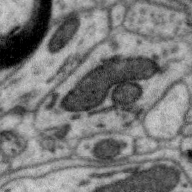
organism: Zebra finch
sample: Brain